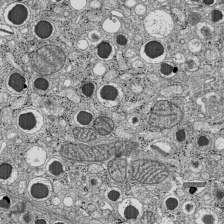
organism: C57BL Mouse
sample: Pancreatic islet